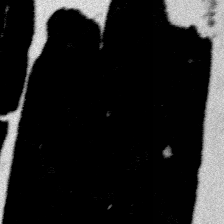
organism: Platynereis dumerilii